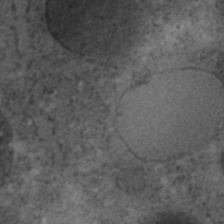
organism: C. elegans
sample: C. elegans embryo